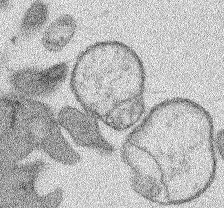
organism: Human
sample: HeLa cells